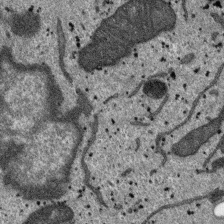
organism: Human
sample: Lung epithelial cells, uninfected (mock) control